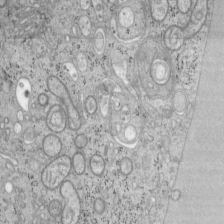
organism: Mouse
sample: OT-I killer T cells with ID8 ovarian cancer cells